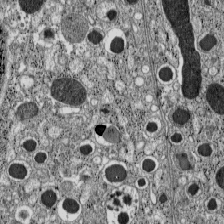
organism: C57BL Mouse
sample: Pancreatic islet